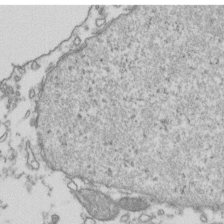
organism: Human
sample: Activated Jurkat CD4+ T cells